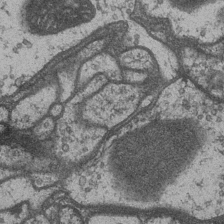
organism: Drosophila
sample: Optic medulla